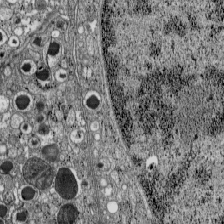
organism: C57BL Mouse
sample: Pancreatic islet